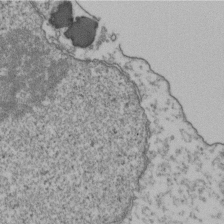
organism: Human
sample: Activated Jurkat CD4+ T cells